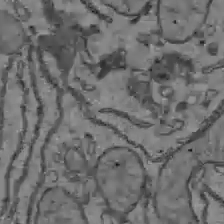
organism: C57BL Mouse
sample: Liver